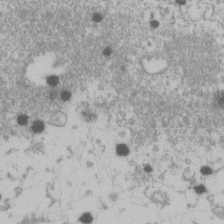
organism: Human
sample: U2-OS cells